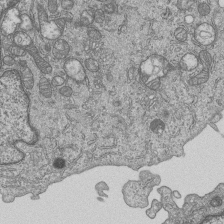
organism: Human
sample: MDA-MB-231 cells